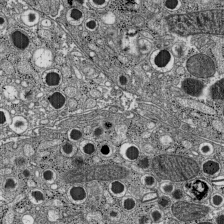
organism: C57BL Mouse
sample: Pancreatic islet